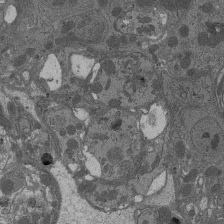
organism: Drosophila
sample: Antenna